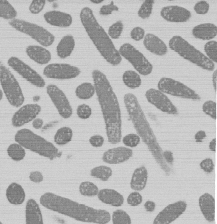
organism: E. coli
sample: Bacterial nucleoid